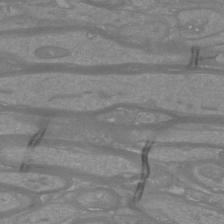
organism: Mouse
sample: Cortical neurons